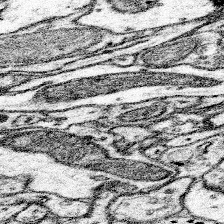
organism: Mouse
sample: Somatosensory cortex neuropil